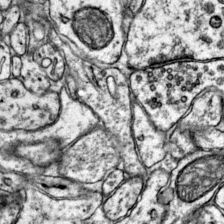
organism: Mouse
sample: Primary visual cortex